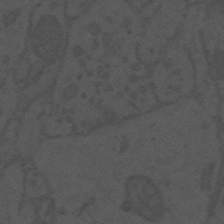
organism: Mouse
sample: Suprachiasmatic nucleus